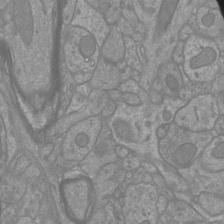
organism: Mouse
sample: Cortical neurons